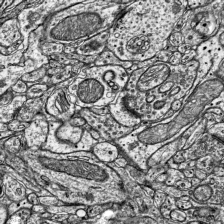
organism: Mouse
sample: Visual Cortex